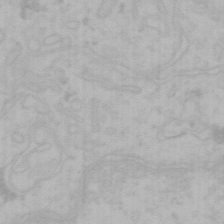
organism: Mouse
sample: Choroid plexus